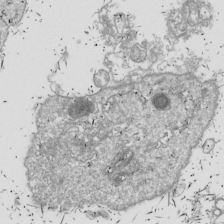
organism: Drosophila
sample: Cell division; meiosis; drosophila spermatocytes